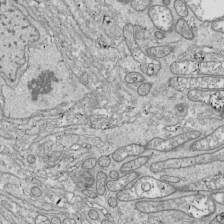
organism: Drosophila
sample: Cell division; meiosis; drosophila spermatocytes